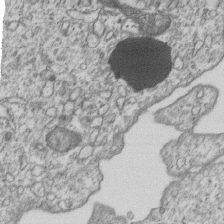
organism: Human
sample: MDA-MB-231 cells